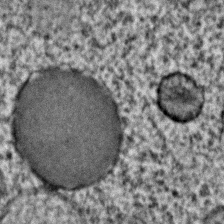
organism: C. elegans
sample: C. elegans embryo